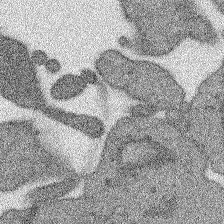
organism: Human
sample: HeLa cells